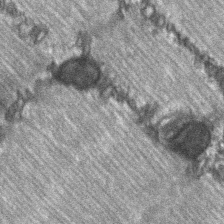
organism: C57BL Mouse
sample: Soleus